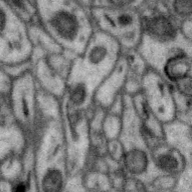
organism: Zebra finch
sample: Brain